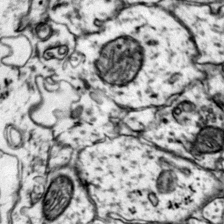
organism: Mouse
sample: Primary visual cortex